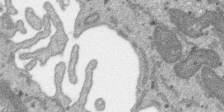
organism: Human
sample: Lung epithelial cells infected with SARS-CoV-2